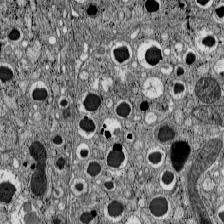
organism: C57BL Mouse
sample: Pancreatic islet